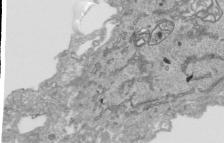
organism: Human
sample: Mitochondria in HCT116 cells